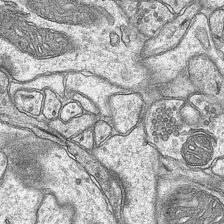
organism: Mouse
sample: CA1 Hippocampus